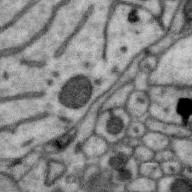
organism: Zebra finch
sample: Brain